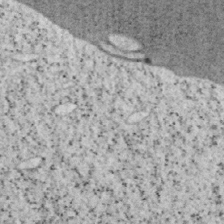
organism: Mouse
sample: OT-I killer T cells with ID8 ovarian cancer cells